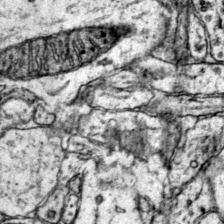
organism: Mouse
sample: Primary visual cortex